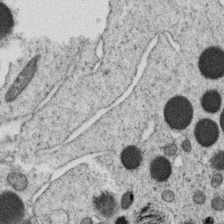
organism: C. elegans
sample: C. elegans oocyte; sperm cells